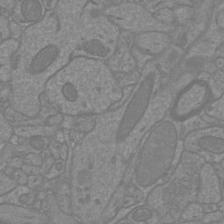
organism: Mouse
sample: Cortical neurons